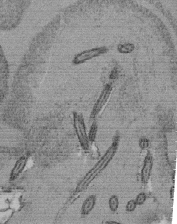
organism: Tetrahymena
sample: Cilia in tetrahymena